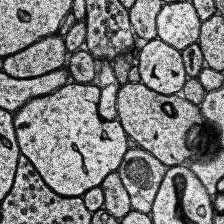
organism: Human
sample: Temporal Lobe